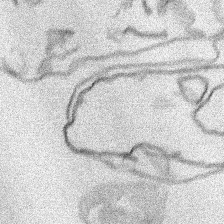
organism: Human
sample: Mitochondria in HCT116 cells